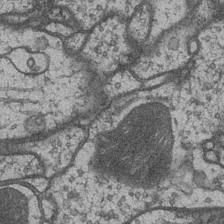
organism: Drosophila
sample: Optic medulla